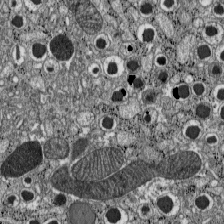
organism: C57BL Mouse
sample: Pancreatic islet